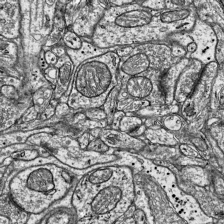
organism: Mouse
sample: Visual Cortex